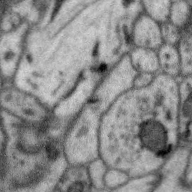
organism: Zebra finch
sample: Brain